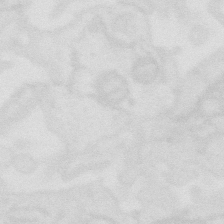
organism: Human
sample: HeLa cells